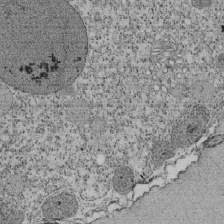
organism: Tetrahymena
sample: Cilia in tetrahymena